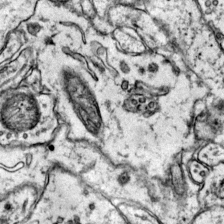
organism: Mouse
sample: Primary visual cortex